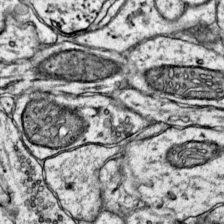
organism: Mouse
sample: Primary visual cortex